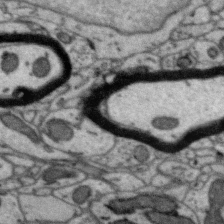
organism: Zebra finch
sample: Brain